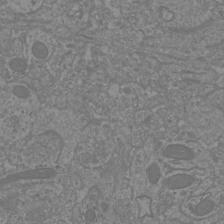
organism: Mouse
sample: Cortical neurons